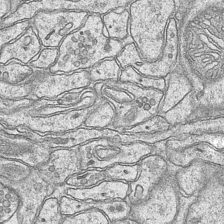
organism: Mouse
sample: CA1 Hippocampus